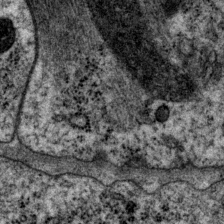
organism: P. pacificus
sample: Pharynx